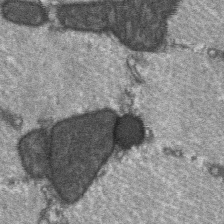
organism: C57BL Mouse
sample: Soleus